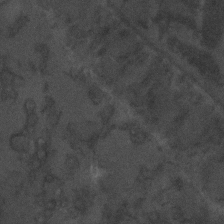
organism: C. elegans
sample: C. elegans embryo